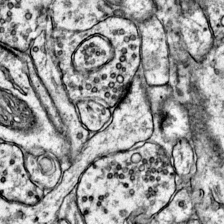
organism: Mouse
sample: Primary visual cortex